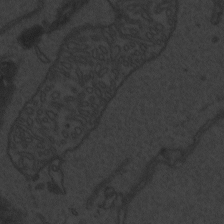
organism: Zebrafish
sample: Macrophage infected with Toxoplasma gondii